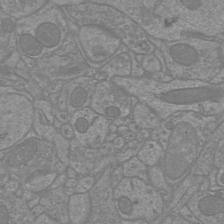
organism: Mouse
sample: Cortical neurons